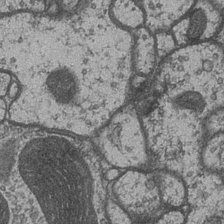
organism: Drosophila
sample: Optic medulla